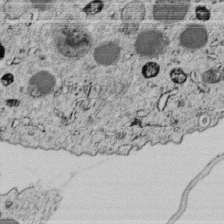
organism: C. elegans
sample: C. elegans embryo early stage